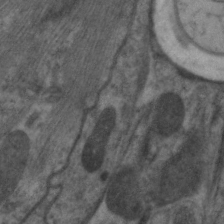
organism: C. elegans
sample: Pharynx